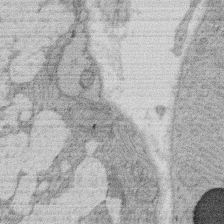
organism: Rat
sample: Salivary granule